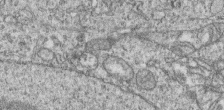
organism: Human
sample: HeLa cell HIV synapse